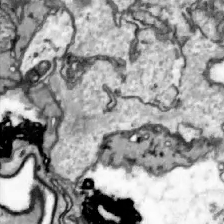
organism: Zebrafish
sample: Actinotrichia fibers